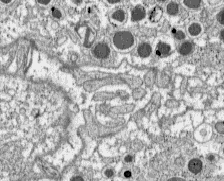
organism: C57BL Mouse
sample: Pancreatic islet